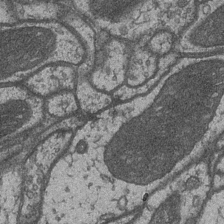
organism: Drosophila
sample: Optic medulla